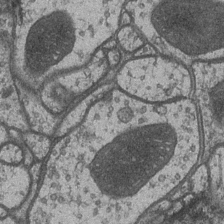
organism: Drosophila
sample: Optic medulla